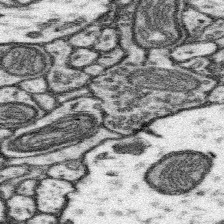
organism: Mouse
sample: Somatosensory cortex neuropil